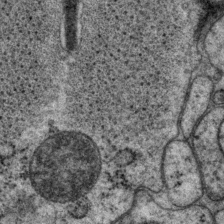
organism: P. pacificus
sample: Pharynx